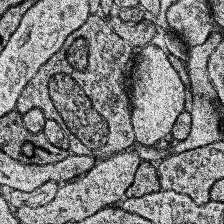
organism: Human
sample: Temporal Lobe